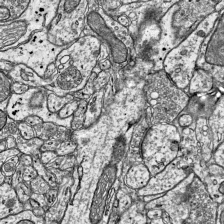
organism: Mouse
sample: Visual Cortex